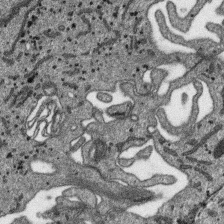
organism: Human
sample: Lung epithelial cells infected with SARS-CoV-2